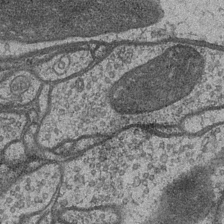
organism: Drosophila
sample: Optic medulla